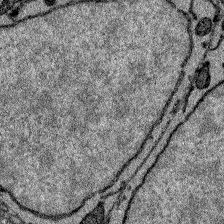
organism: Zebrafish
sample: Larval olfactory bulb